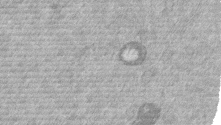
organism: Mouse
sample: Dividing mouse embryo 1 cell stage